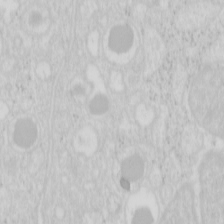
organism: Mouse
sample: Pancreas